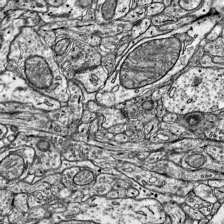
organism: Mouse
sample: Visual Cortex